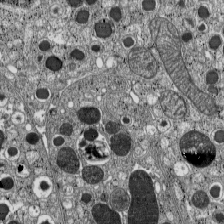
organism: C57BL Mouse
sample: Pancreatic islet